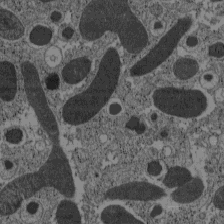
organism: C57BL Mouse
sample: Pancreatic islet